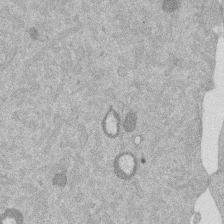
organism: Mouse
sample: Dividing mouse embryo 1 cell stage